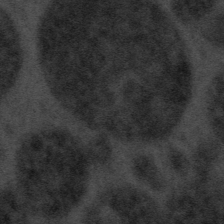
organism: Tuwongella immobilis